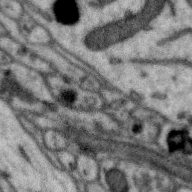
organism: Zebra finch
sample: Brain